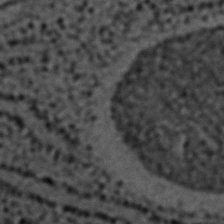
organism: C. elegans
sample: C. elegans embryo